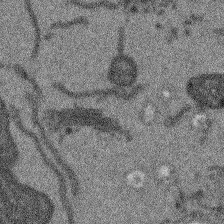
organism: Arabidopsis thaliana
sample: Root tip